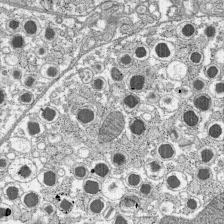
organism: C57BL Mouse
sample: Pancreatic islet